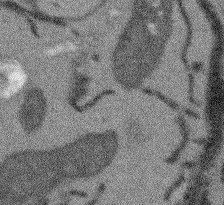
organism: Arabidopsis thaliana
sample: Root tip